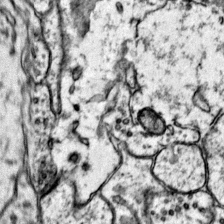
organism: Mouse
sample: Primary visual cortex